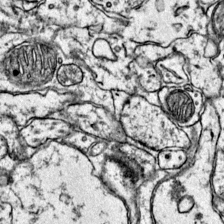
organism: Mouse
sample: Primary visual cortex